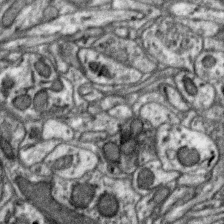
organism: Zebra finch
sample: Brain